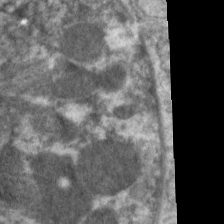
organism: C. elegans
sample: Pharynx